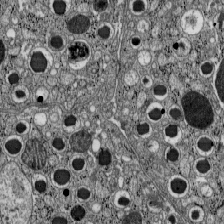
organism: C57BL Mouse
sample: Pancreatic islet